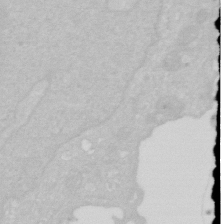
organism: Human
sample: HIV infected U937 cells